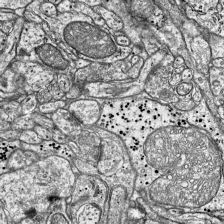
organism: Mouse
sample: Visual Cortex